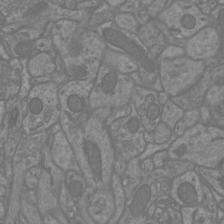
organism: Mouse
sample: Cortical neurons